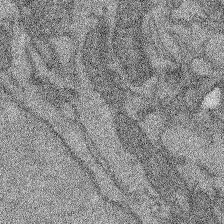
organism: Human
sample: HeLa cells